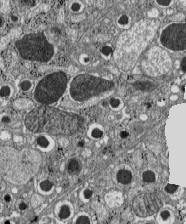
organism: C57BL Mouse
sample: Pancreatic islet